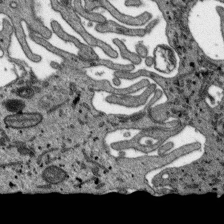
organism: Human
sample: Lung epithelial cells, uninfected (mock) control